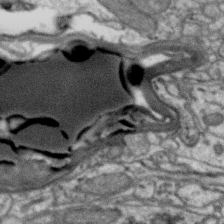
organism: Zebra finch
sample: Brain